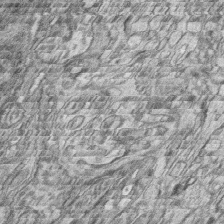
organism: Zebrafish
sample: synaptic ribbons in rod cells and cone cells